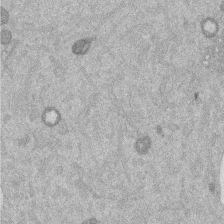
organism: Mouse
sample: Dividing mouse embryo 1 cell stage